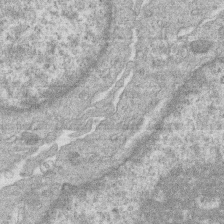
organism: Human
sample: Macrophage cells